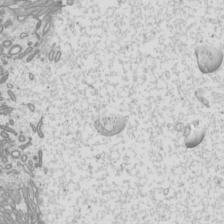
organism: Mouse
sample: Cilia; mouse epididymis